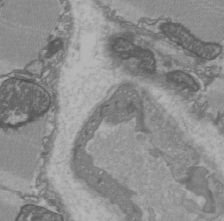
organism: C57BL Mouse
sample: Heart